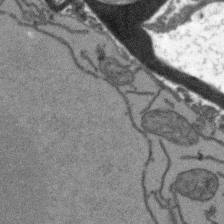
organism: Arabidopsis thaliana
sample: Root tip